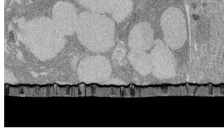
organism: Rat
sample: Salivary granule